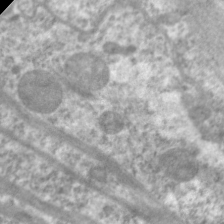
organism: C. elegans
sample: Pharynx